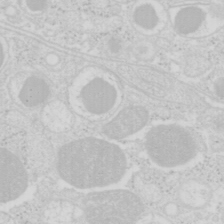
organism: Mouse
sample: Pancreas